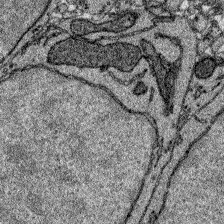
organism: Zebrafish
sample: Larval olfactory bulb